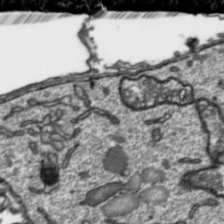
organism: Toxoplasma gondii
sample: Parasites in a vacuole inside a host cell